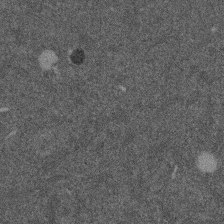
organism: Mouse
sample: Dividing mouse embryo 1 cell stage